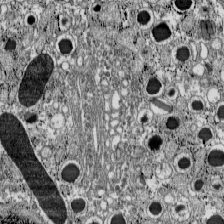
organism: C57BL Mouse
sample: Pancreatic islet